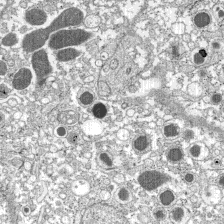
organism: C57BL Mouse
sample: Pancreatic islet